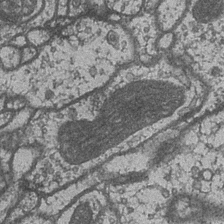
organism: Drosophila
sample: Optic medulla